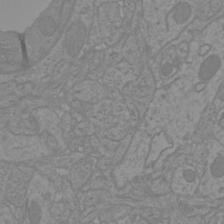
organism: Mouse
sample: Cortical neurons